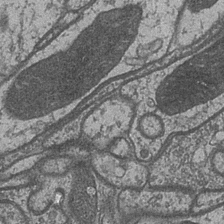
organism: Drosophila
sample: Optic medulla